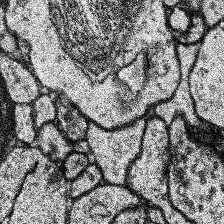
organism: Human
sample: Temporal Lobe